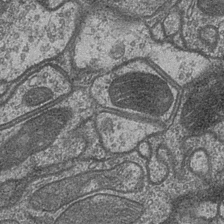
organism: Drosophila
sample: Optic medulla